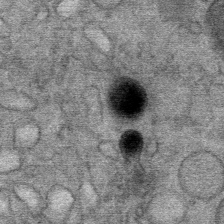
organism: Mouse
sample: Mouse Salivary gland